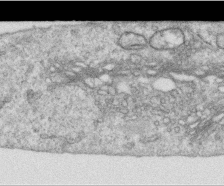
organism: Human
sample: Centriole in RPE cells